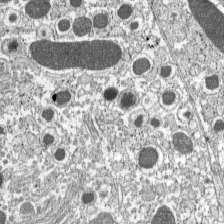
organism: C57BL Mouse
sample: Pancreatic islet